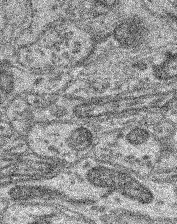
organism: Mouse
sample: Retina